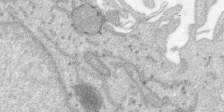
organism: Human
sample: Lung epithelial cells infected with SARS-CoV-2